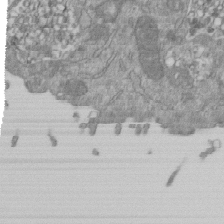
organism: Mouse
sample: ED-1 cell nuclei; centrioles